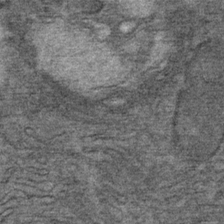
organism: Mouse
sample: Mouse Salivary gland